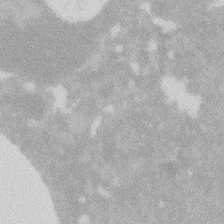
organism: Zebrafish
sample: Macrophage